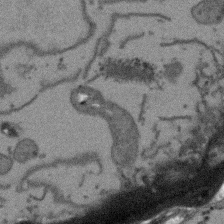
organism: Arabidopsis thaliana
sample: Root tip